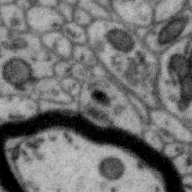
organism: Zebra finch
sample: Brain